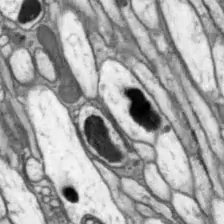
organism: Drosophila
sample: Optic lobe